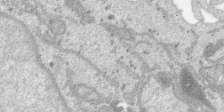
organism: Human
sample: Lung epithelial cells infected with SARS-CoV-2